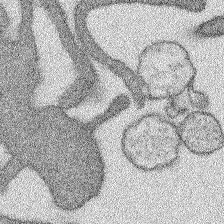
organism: Human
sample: HeLa cells